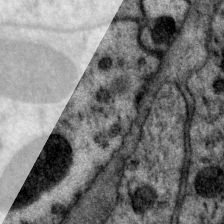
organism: P. pacificus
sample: Pharynx